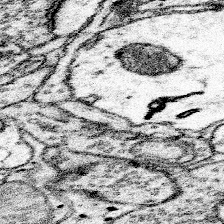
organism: Mouse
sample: Somatosensory cortex neuropil